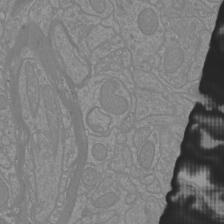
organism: Mouse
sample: Cortical neurons